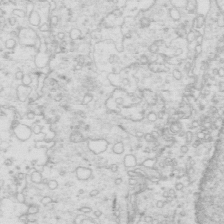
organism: Mouse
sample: Multiciliated cells